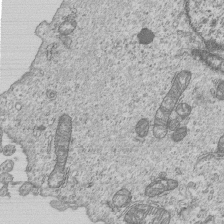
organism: Human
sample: MDA-MB-231 cells